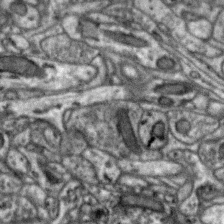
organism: Zebra finch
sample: Brain